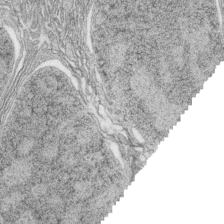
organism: Zebrafish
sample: synaptic ribbons in rod cells and cone cells